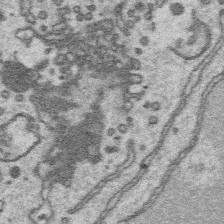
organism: Platynereis dumerilii